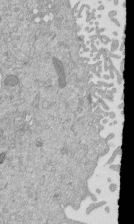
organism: Mouse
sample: ED-1 cell nuclei; centrioles